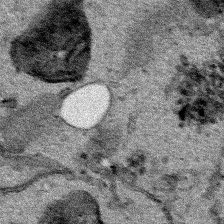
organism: Human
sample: Mitochondria in HCT116 cells